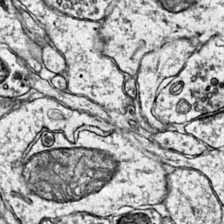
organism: Mouse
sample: Primary visual cortex